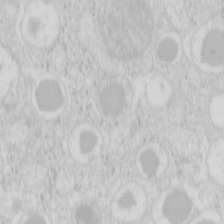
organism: Mouse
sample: Pancreas